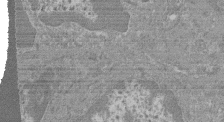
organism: Mouse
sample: Glomerulus